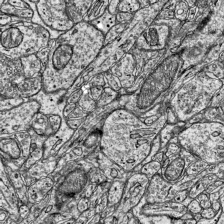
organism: Mouse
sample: Visual Cortex